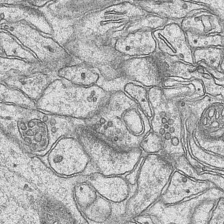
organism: Mouse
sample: CA1 Hippocampus